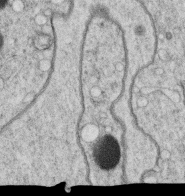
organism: C. elegans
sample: C. elegans oocyte; sperm cells